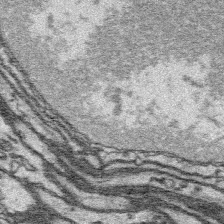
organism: Platynereis dumerilii